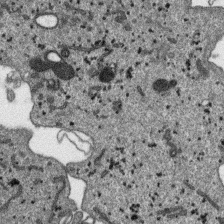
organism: Human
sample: Lung epithelial cells infected with SARS-CoV-2